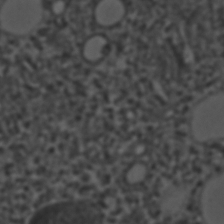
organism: C. elegans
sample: C. elegans embryo